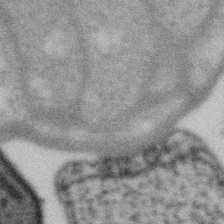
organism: Gemmata obscuriglobus